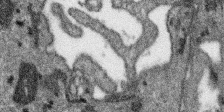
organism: Human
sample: Lung epithelial cells infected with SARS-CoV-2